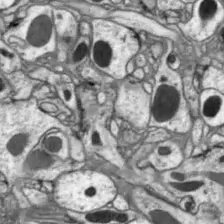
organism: Drosophila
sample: Optic lobe